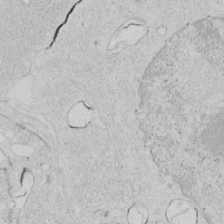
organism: Human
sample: Mitochondria in HCT116 cells